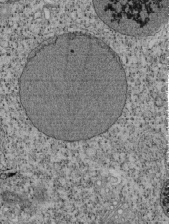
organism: Tetrahymena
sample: Cilia in tetrahymena